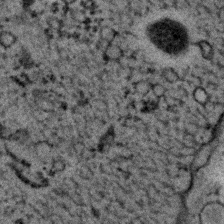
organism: C. elegans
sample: C. elegans embryo